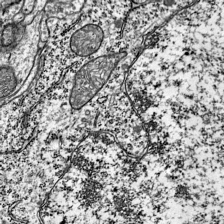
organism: Mouse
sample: Visual Cortex